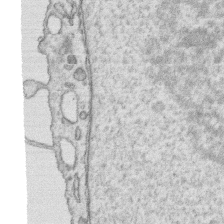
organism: Human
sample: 1205lu cells